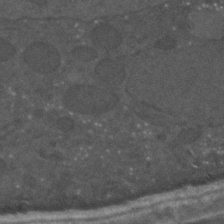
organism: C. elegans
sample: C. elegans embryo